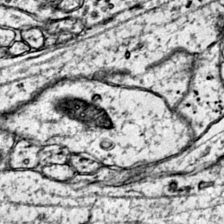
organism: Mouse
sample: Primary visual cortex